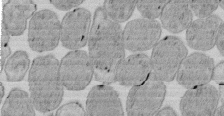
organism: E. coli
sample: Bacterial nucleoid